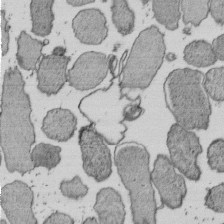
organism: E. coli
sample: Bacterial nucleoid